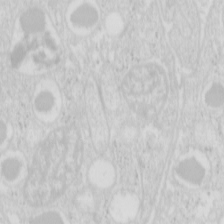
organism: Mouse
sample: Pancreas